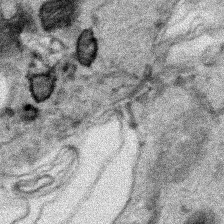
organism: Human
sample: Mitochondria in HCT116 cells